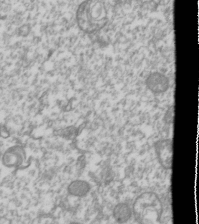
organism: Drosophila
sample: Cell division; meiosis; drosophila spermatocytes